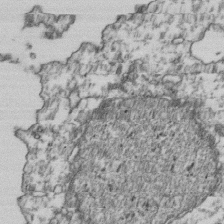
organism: Human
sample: Activated Jurkat CD4+ T cells